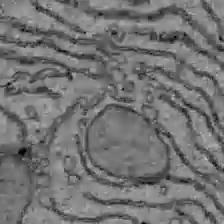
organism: C57BL Mouse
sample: Liver